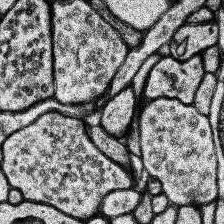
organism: Human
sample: Temporal Lobe